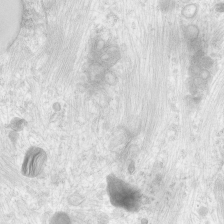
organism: Human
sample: Neocortex